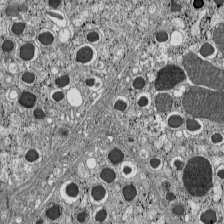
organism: C57BL Mouse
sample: Pancreatic islet